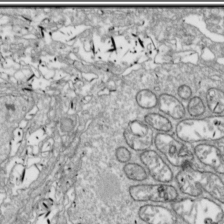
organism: Drosophila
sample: Cell division; meiosis; drosophila spermatocytes